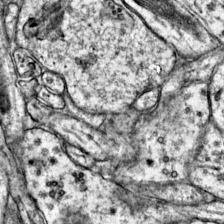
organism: Mouse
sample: Primary visual cortex